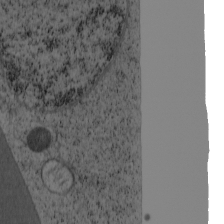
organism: African green monkey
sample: COS-7 cells